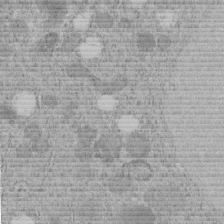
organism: C. elegans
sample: C. elegans embryo early stage